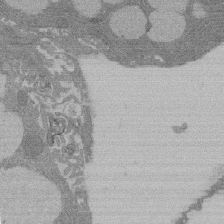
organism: Rat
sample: Salivary granule